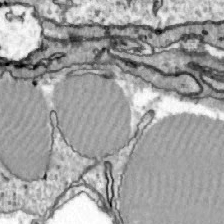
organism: Zebrafish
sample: Actinotrichia fibers